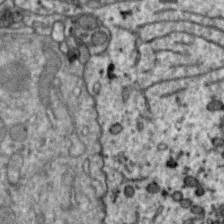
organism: Zebra finch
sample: Brain